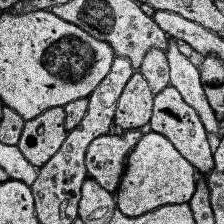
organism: Human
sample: Temporal Lobe